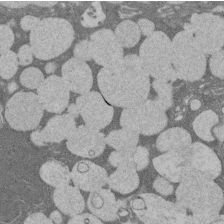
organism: Rat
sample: Salivary granule